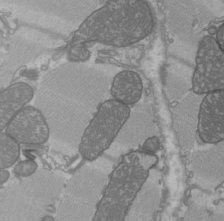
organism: C57BL Mouse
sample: Heart